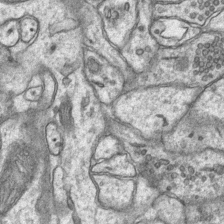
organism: Mouse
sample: CA1 Hippocampus